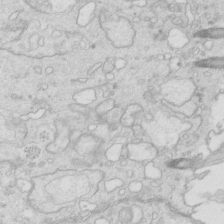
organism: Mouse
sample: Multiciliated cells